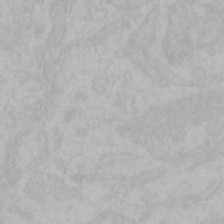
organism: Mouse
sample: Choroid plexus